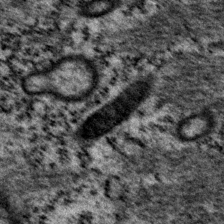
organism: P. pacificus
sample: Pharynx